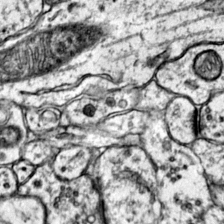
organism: Mouse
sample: Primary visual cortex